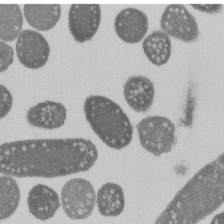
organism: E. coli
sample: Bacterial nucleoid